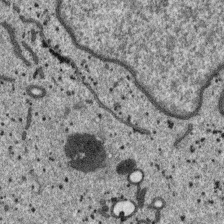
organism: Human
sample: Lung epithelial cells infected with SARS-CoV-2